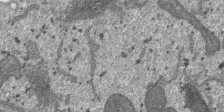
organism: Human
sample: Lung epithelial cells infected with SARS-CoV-2